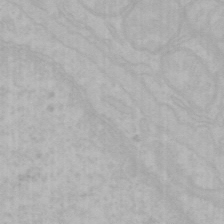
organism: Mouse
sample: Choroid plexus